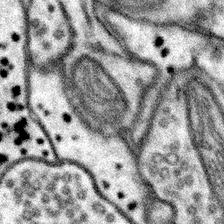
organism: Mouse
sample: Somatosensory cortex neuropil